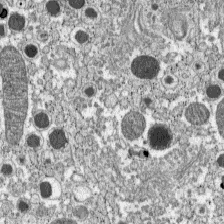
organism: C57BL Mouse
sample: Pancreatic islet